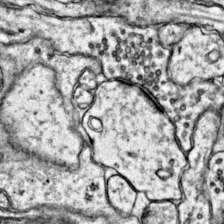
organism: Mouse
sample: Primary visual cortex